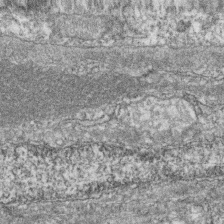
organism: Zebrafish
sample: Cilia; retinal pigment epithelium